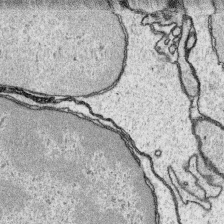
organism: Platynereis dumerilii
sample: Parapodia